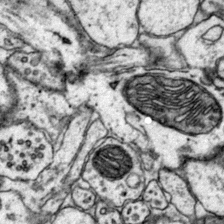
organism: Mouse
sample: Primary visual cortex